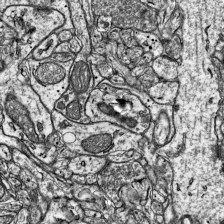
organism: Mouse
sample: Visual Cortex